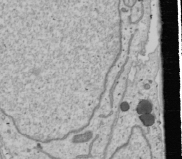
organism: Human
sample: Mitochondria in U2OS cells